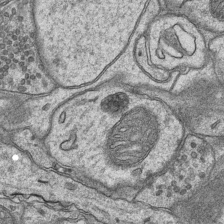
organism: Mouse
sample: CA1 Hippocampus